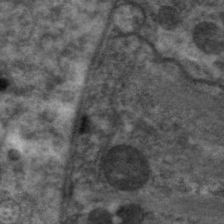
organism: C. elegans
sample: Pharynx